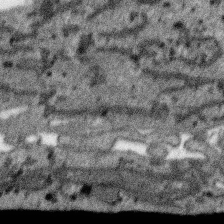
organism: Human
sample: Lung epithelial cells infected with SARS-CoV-2